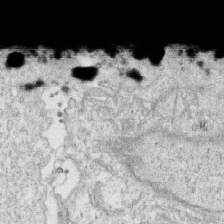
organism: Human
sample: HeLa cell HIV synapse